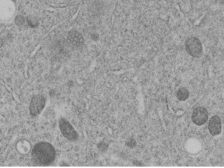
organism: C. elegans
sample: C. elegans embryo early stage